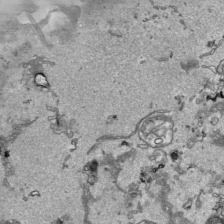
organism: Human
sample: Mitochondria in HCT116 cells